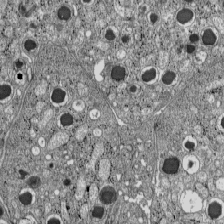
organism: C57BL Mouse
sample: Pancreatic islet